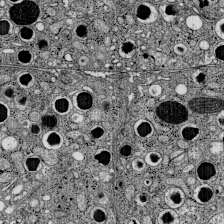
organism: C57BL Mouse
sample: Pancreatic islet